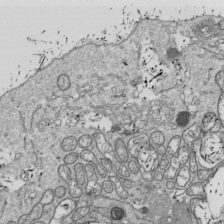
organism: Drosophila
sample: Cell division; meiosis; drosophila spermatocytes